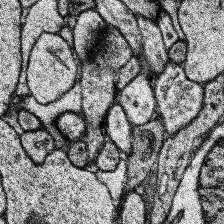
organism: Human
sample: Temporal Lobe